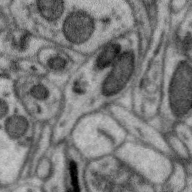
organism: Zebra finch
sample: Brain